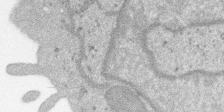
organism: Human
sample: Lung epithelial cells infected with SARS-CoV-2